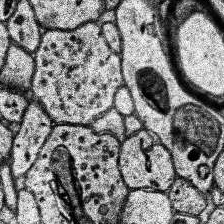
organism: Human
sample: Temporal Lobe